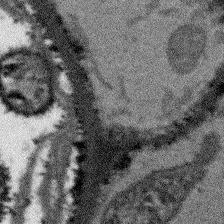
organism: Arabidopsis thaliana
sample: Root tip